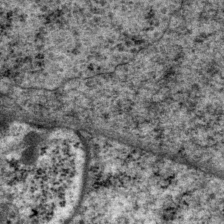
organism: P. pacificus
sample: Pharynx